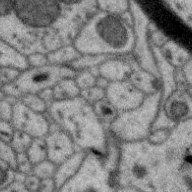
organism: Zebra finch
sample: Brain